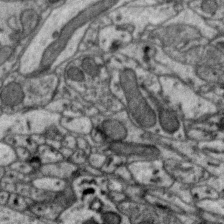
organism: Zebra finch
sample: Brain